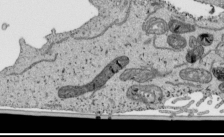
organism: Human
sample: Mitochondria in HCT116 cells